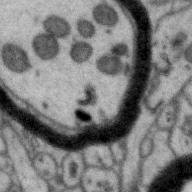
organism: Zebra finch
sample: Brain